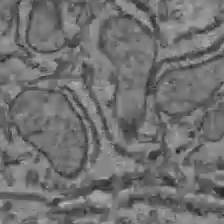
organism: C57BL Mouse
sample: Liver